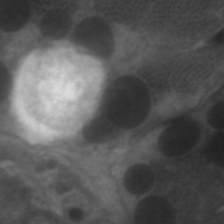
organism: C. elegans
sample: Pharynx